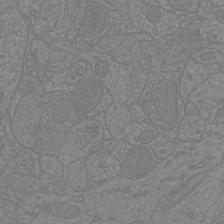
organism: Mouse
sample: Cortical neurons